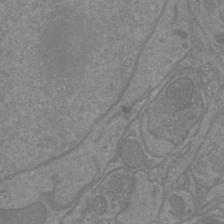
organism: Mouse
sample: Cortical neurons